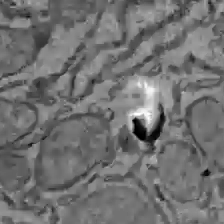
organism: C57BL Mouse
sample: Liver